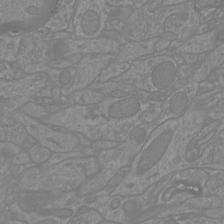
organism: Mouse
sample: Cortical neurons